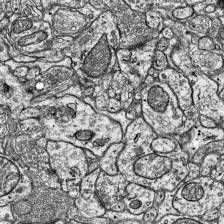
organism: Mouse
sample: Visual Cortex